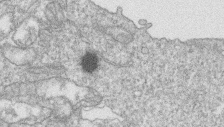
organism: Human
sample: HeLa cell HIV synapse